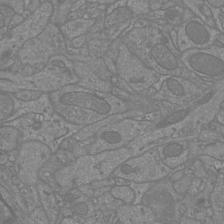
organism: Mouse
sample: Cortical neurons